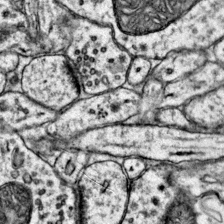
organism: Mouse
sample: Primary visual cortex